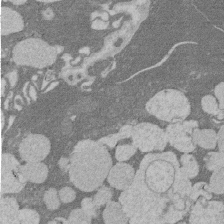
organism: Rat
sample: Salivary granule